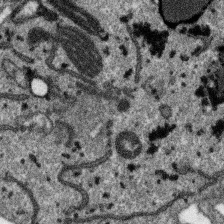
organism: Human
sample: Lung epithelial cells infected with SARS-CoV-2